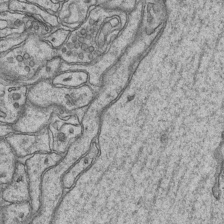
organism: Mouse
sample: CA1 Hippocampus